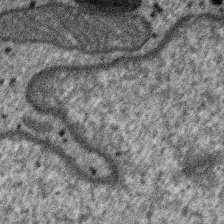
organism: Human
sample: Lung epithelial cells infected with SARS-CoV-2